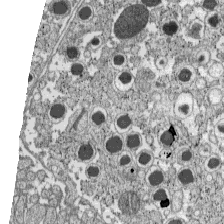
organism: C57BL Mouse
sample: Pancreatic islet